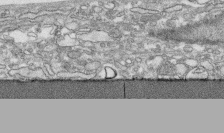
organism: Human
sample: CRL-1474